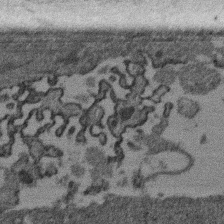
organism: Mouse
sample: Dividing mouse embryo 1 cell stage